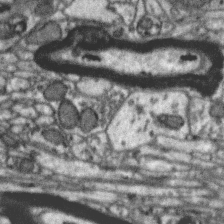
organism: Zebra finch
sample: Brain